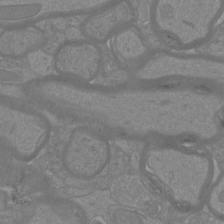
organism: Mouse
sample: Cortical neurons